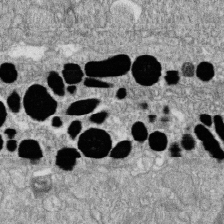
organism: Zebrafish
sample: Cilia; retinal pigment epithelium